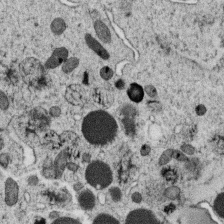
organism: C. elegans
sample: C. elegans oocyte; sperm cells